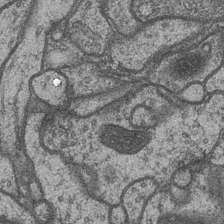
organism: Drosophila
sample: Optic medulla